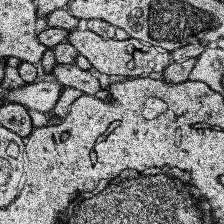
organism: Human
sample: Temporal Lobe